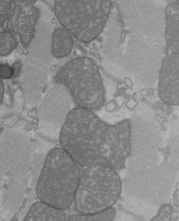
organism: C57BL Mouse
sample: Heart